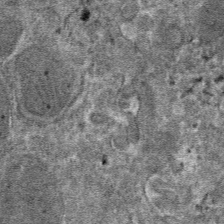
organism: Mouse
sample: Mouse hepatocytes